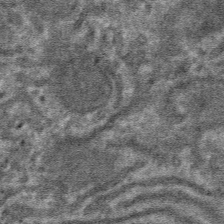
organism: Mouse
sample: Mouse hepatocytes